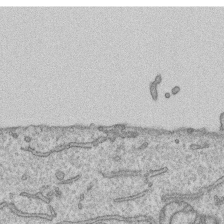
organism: Human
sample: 1205lu cells